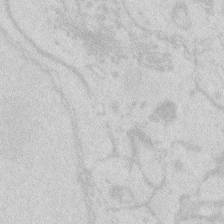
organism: Zebrafish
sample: Macrophage